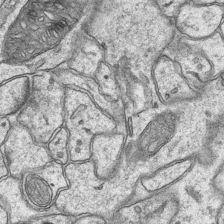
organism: Mouse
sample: CA1 Hippocampus